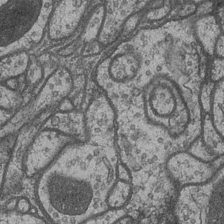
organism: Drosophila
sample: Optic medulla